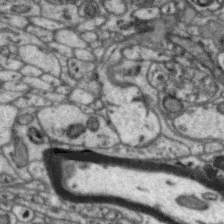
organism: Zebra finch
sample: Brain